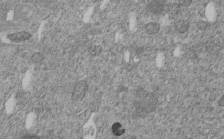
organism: C. elegans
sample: C. elegans embryo early stage